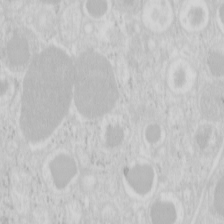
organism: Mouse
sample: Pancreas